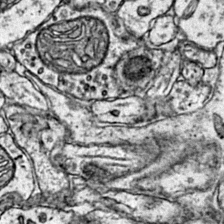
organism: Mouse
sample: Primary visual cortex